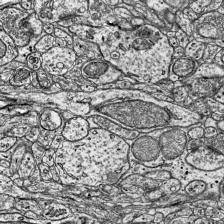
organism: Mouse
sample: Visual Cortex